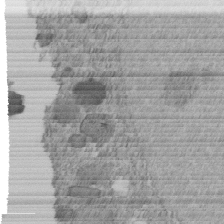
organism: C. elegans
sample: C. elegans embryo early stage